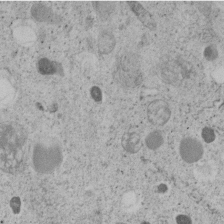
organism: C. elegans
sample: C. elegans embryo early stage